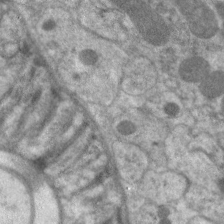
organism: C. elegans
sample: Pharynx